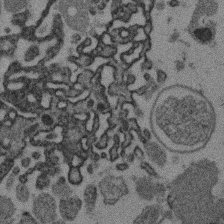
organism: Mouse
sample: Dividing mouse embryo 1 cell stage